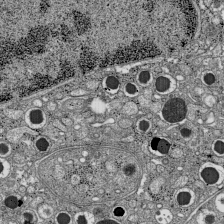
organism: C57BL Mouse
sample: Pancreatic islet